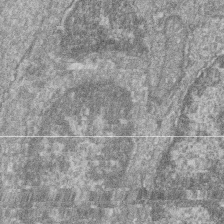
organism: Zebrafish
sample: Cilia; retinal pigment epithelium